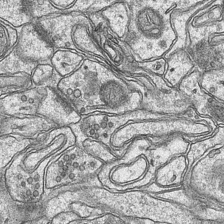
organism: Mouse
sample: CA1 Hippocampus